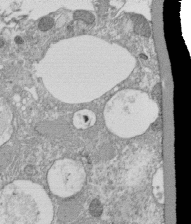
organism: Tetrahymena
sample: Cilia in tetrahymena